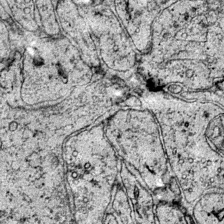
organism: Mouse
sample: Primary visual cortex